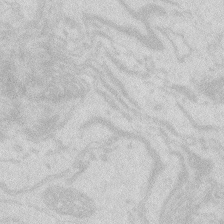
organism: Zebrafish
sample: Macrophage